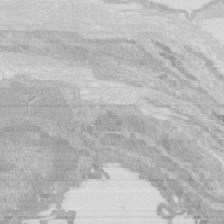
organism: Rat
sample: Salivary granule